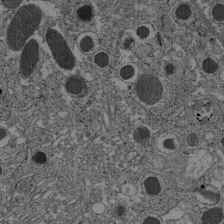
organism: C57BL Mouse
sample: Pancreatic islet